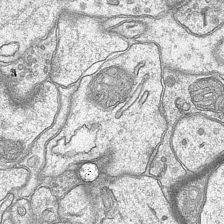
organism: Mouse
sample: CA1 Hippocampus